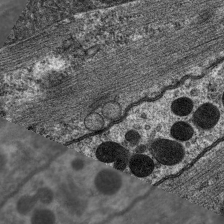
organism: C. elegans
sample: Pharynx